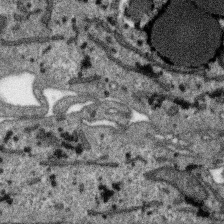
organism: Human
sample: Lung epithelial cells infected with SARS-CoV-2